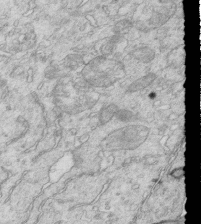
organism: Mouse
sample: Multiciliated cells